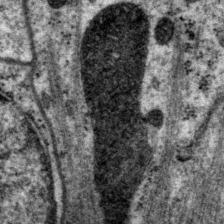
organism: P. pacificus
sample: Pharynx